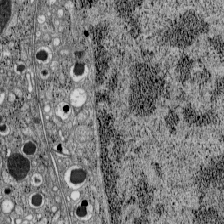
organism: C57BL Mouse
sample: Pancreatic islet